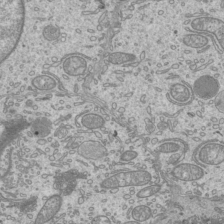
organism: Mouse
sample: Cilia; mouse epididymis